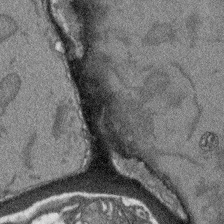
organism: Arabidopsis thaliana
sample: Root tip